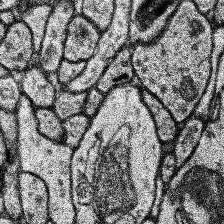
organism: Human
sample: Temporal Lobe